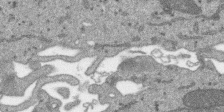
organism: Human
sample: Lung epithelial cells infected with SARS-CoV-2